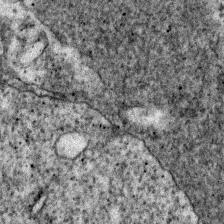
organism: Zebrafish